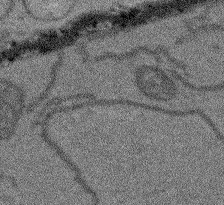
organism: Arabidopsis thaliana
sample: Root tip